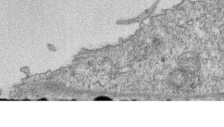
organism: Human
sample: HeLa cell HIV synapse